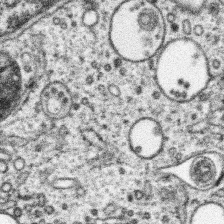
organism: Human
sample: HeLa cells